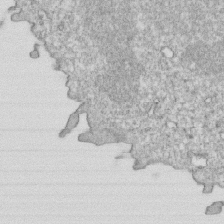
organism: Mouse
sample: Activated OT-1 CD8+ T cells